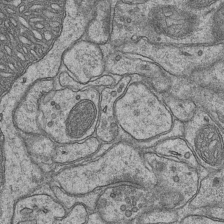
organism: Mouse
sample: CA1 Hippocampus